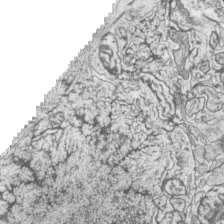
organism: Zebrafish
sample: synaptic ribbons in rod cells and cone cells